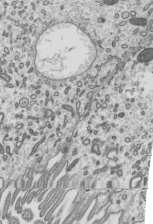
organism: Mouse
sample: Mouse epididymis efferent ductule cilia